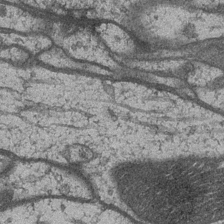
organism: Drosophila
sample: Optic medulla